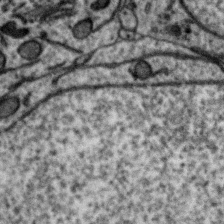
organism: Zebra finch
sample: Brain